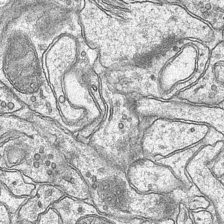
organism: Mouse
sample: CA1 Hippocampus